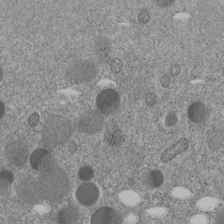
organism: C. elegans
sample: C. elegans embryo early stage